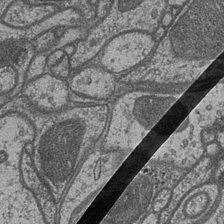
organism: Drosophila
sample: Optic medulla